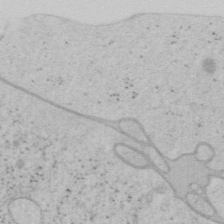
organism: Human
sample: HeLa cells